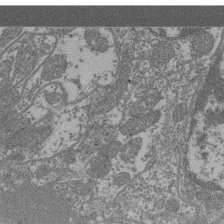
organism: Mouse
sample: Glomerulus